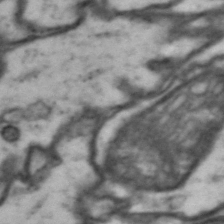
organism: Drosophila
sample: Brain